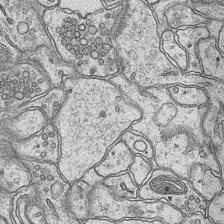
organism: Mouse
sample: CA1 Hippocampus